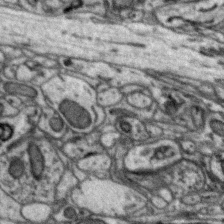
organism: Zebra finch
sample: Brain